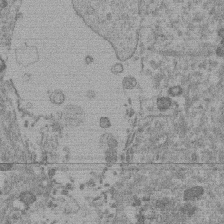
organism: Mouse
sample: Dividing mouse embryo 1 cell stage